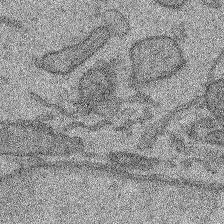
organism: Human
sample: HeLa cells